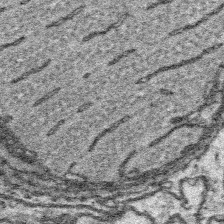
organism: Platynereis dumerilii